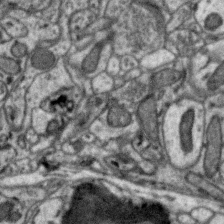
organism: Zebra finch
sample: Brain